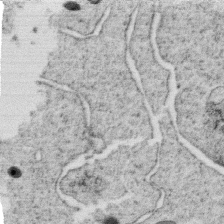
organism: C. elegans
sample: C. elegans oocyte; sperm cells